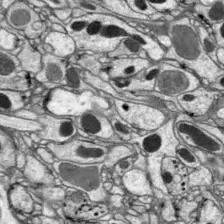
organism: Drosophila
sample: Optic lobe